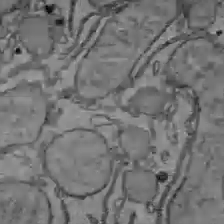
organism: C57BL Mouse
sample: Liver